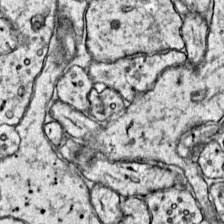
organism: Mouse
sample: Primary visual cortex